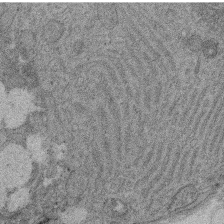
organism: Rat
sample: Salivary granule